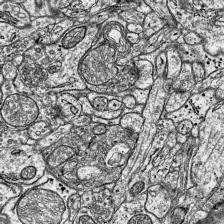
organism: Mouse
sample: Visual Cortex